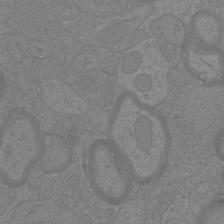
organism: Mouse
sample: Cortical neurons